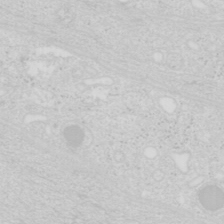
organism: Mouse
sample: Pancreas